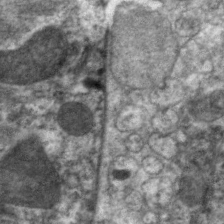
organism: C. elegans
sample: Pharynx